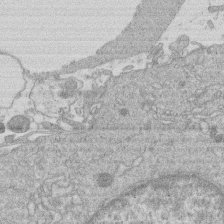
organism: Human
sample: Macrophage cells